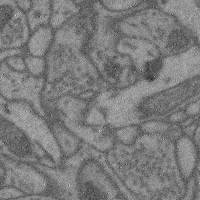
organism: Mouse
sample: Cerebral cortex